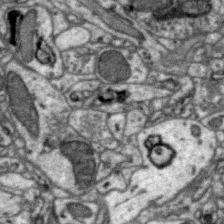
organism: Zebra finch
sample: Brain